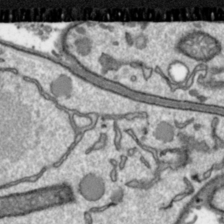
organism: Toxoplasma gondii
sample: Parasites in a vacuole inside a host cell